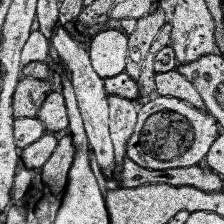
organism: Human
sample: Temporal Lobe